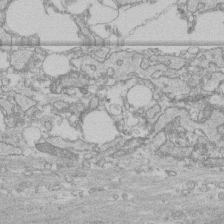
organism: Human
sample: CRL-1474